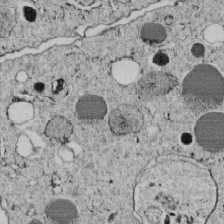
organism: C. elegans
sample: C. elegans embryo early stage